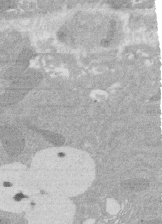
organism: Rat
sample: Salivary granule